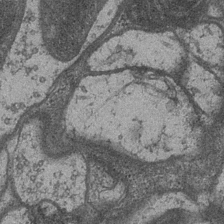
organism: Drosophila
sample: Optic medulla